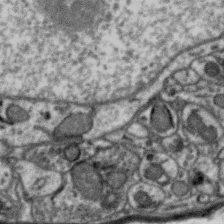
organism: Zebra finch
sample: Brain